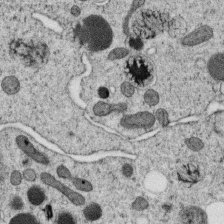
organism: C. elegans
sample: C. elegans oocyte; sperm cells